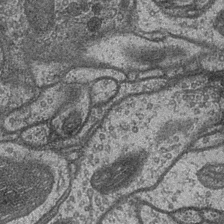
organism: Drosophila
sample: Optic medulla